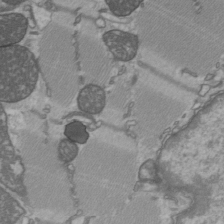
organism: C57BL Mouse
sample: Heart